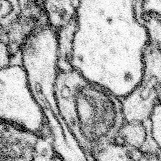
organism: Mouse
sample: Somatosensory cortex neuropil